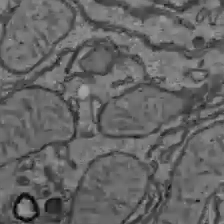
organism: C57BL Mouse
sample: Liver